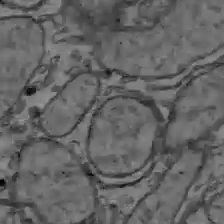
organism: C57BL Mouse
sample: Liver